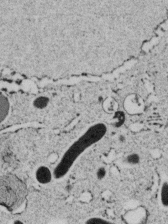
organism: C. elegans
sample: C. elegans embryo early stage